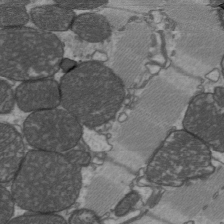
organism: C57BL Mouse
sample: Heart